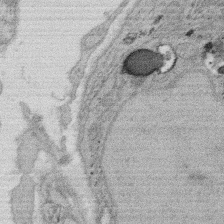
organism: Rat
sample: Salivary granule